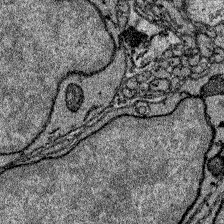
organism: Zebrafish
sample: Larval olfactory bulb